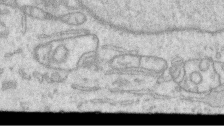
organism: Human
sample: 1205lu cells